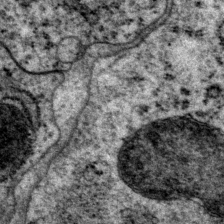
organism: P. pacificus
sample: Pharynx